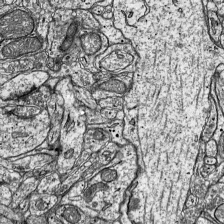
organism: Mouse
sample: Visual Cortex